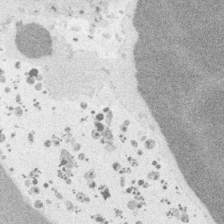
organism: Embia sp.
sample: Silk gland